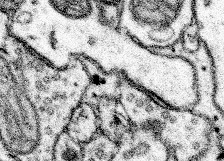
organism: Mouse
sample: Somatosensory cortex neuropil